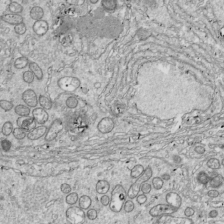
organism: Drosophila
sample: Cell division; meiosis; drosophila spermatocytes